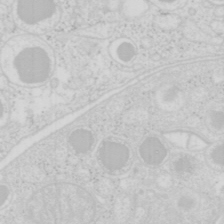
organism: Mouse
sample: Pancreas